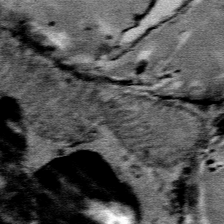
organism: Mouse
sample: Mouse Salivary gland